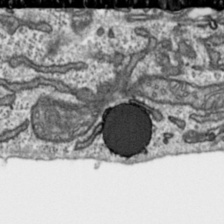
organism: Toxoplasma gondii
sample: Parasites in a vacuole inside a host cell